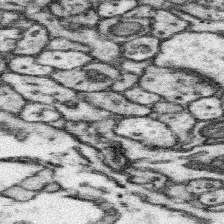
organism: Mouse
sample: Somatosensory cortex neuropil